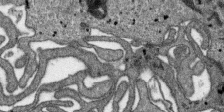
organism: Human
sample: Lung epithelial cells, uninfected (mock) control